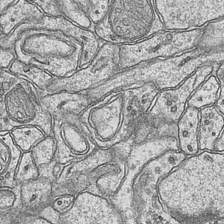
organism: Mouse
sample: CA1 Hippocampus